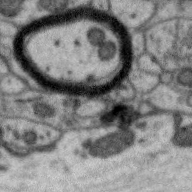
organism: Zebra finch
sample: Brain